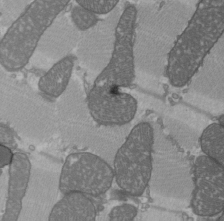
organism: C57BL Mouse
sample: Heart